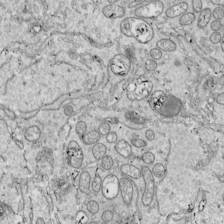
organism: Drosophila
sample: Cell division; meiosis; drosophila spermatocytes